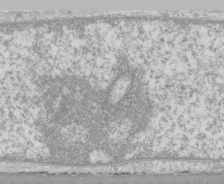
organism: Human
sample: CRL-1474